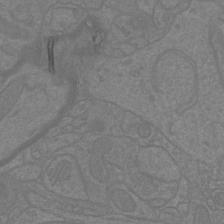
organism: Mouse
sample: Cortical neurons